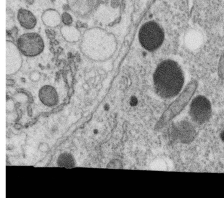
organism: C. elegans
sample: C. elegans oocyte; sperm cells